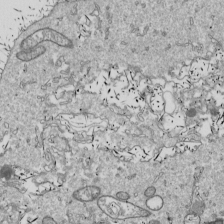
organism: Drosophila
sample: Cell division; meiosis; drosophila spermatocytes